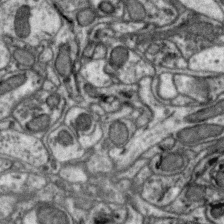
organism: Zebra finch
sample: Brain